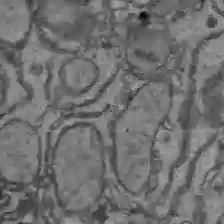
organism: C57BL Mouse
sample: Liver